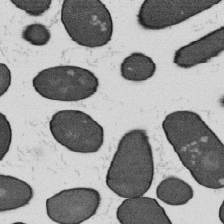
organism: B. subtilis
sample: Bacterial spore